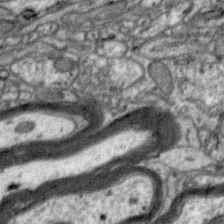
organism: Zebra finch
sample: Brain